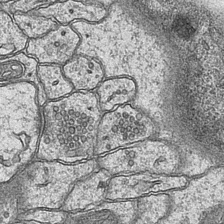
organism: Mouse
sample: CA1 Hippocampus